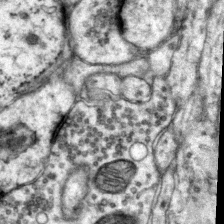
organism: Mouse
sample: Primary visual cortex